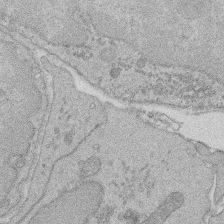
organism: Rat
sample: Salivary granule